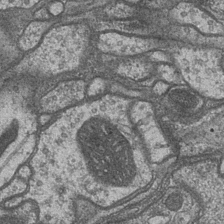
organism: Drosophila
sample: Optic medulla